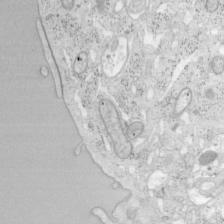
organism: Mouse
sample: OT-I killer T cells with ID8 ovarian cancer cells